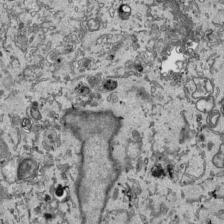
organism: Human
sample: Mitochondria in HCT116 cells